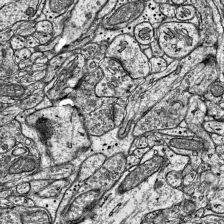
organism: Mouse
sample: Visual Cortex